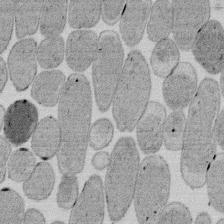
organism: E. coli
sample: Bacterial nucleoid